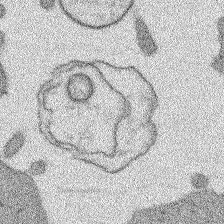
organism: Human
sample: HeLa cells